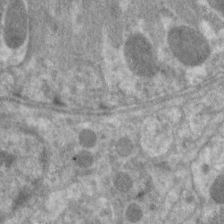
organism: C. elegans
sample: Pharynx